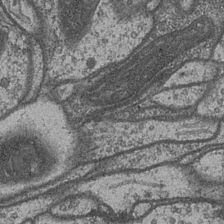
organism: Drosophila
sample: Optic medulla